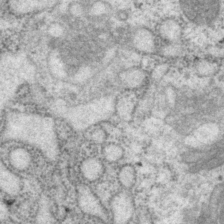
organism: P. pacificus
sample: Pharynx